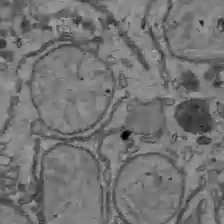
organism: C57BL Mouse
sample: Liver